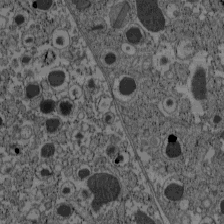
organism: C57BL Mouse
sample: Pancreatic islet